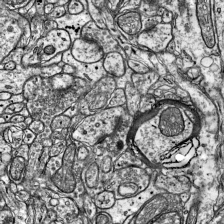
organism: Mouse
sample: Visual Cortex